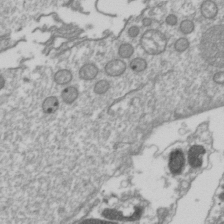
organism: Drosophila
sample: Cell division; meiosis; drosophila spermatocytes